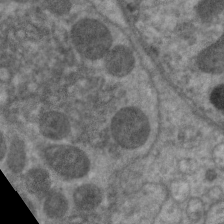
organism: C. elegans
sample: Pharynx